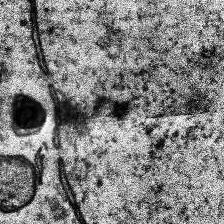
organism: Human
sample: Temporal Lobe